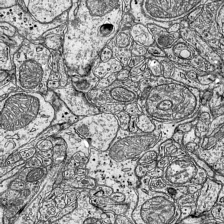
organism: Mouse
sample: Visual Cortex